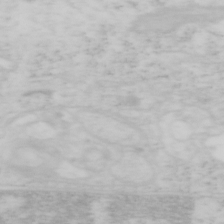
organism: Mouse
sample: OT-I killer T cells with ID8 ovarian cancer cells